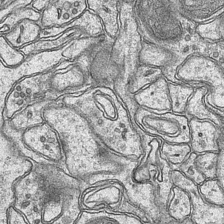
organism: Mouse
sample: CA1 Hippocampus